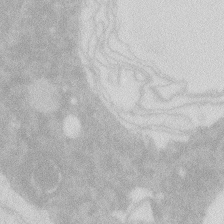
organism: Zebrafish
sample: Macrophage